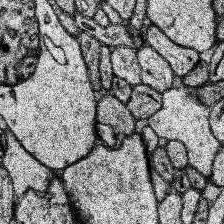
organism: Human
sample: Temporal Lobe